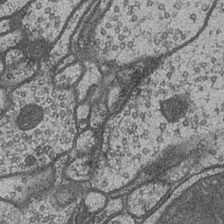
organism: Drosophila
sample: Optic medulla